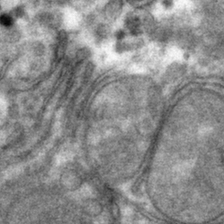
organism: Mouse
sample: Mouse hepatocytes